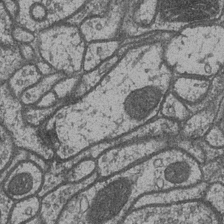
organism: Drosophila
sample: Optic medulla